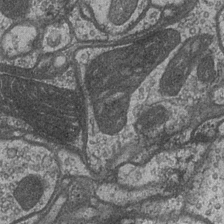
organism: Drosophila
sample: Optic medulla